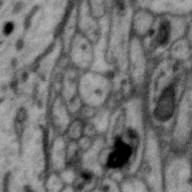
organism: Zebra finch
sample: Brain